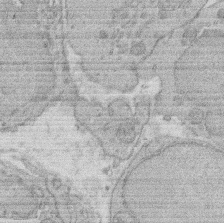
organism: Rat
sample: Salivary granule